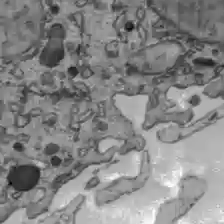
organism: C57BL Mouse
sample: Liver